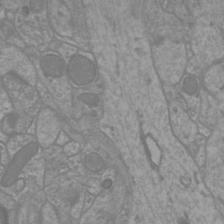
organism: Mouse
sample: Cortical neurons